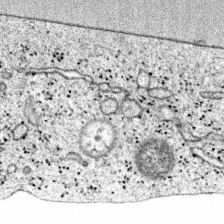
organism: Human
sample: HeLa cells